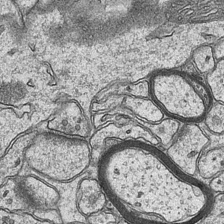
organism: Mouse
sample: CA1 Hippocampus